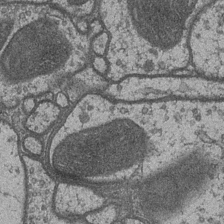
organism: Drosophila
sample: Optic medulla